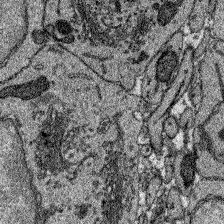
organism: Zebrafish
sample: Larval olfactory bulb